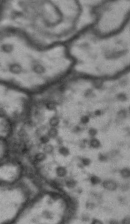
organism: Drosophila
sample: Brain